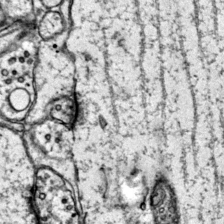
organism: Mouse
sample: Primary visual cortex